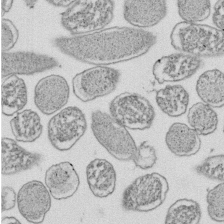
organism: E. coli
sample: Bacterial nucleoid